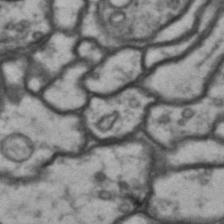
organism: Drosophila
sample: Brain